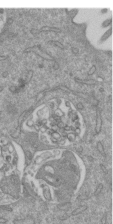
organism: Mouse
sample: ED-1 cell nuclei; centrioles